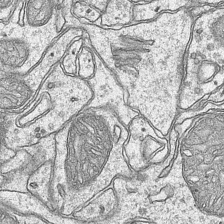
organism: Mouse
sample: CA1 Hippocampus